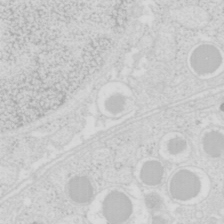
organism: Mouse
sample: Pancreas